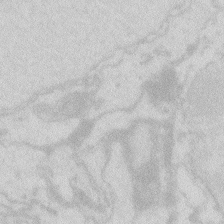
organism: Zebrafish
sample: Macrophage